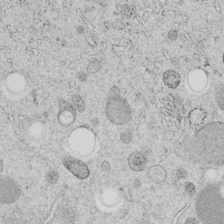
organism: C. elegans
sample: C. elegans embryo early stage